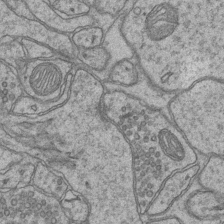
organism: Mouse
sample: CA1 Hippocampus